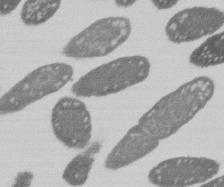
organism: E. coli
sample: Bacterial nucleoid